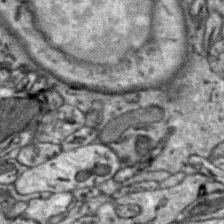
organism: Zebra finch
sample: Brain